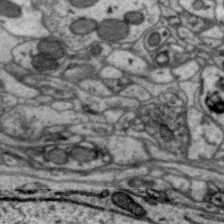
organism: Zebra finch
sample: Brain